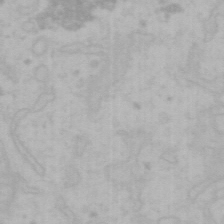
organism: Mouse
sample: Choroid plexus